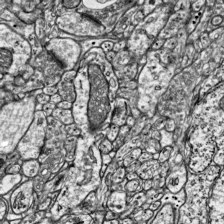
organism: Mouse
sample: Visual Cortex